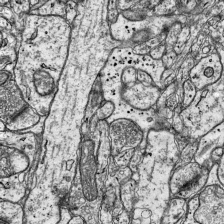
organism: Mouse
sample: Visual Cortex